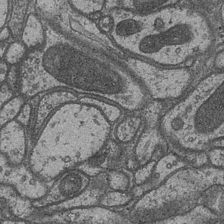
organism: Drosophila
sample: Optic medulla